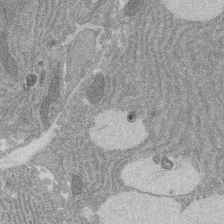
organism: Rat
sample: Salivary granule